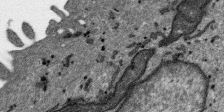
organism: Human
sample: Lung epithelial cells, uninfected (mock) control